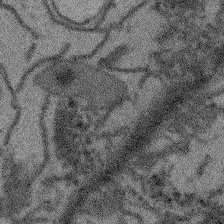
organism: Arabidopsis thaliana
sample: Root tip